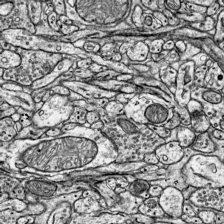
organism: Mouse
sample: Visual Cortex